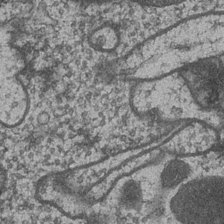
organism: Drosophila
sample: Optic medulla